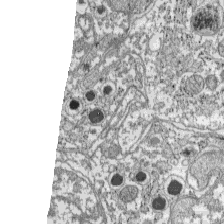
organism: C57BL Mouse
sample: Pancreatic islet